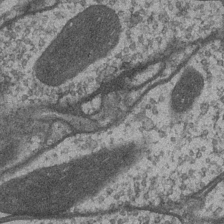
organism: Drosophila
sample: Optic medulla